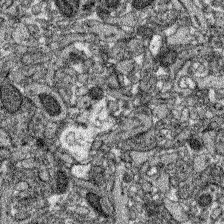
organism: Zebrafish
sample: Larval olfactory bulb